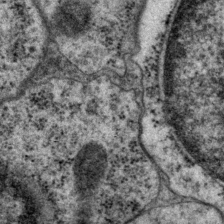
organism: P. pacificus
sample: Pharynx